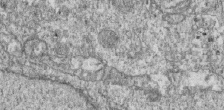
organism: Human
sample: HeLa cell HIV synapse